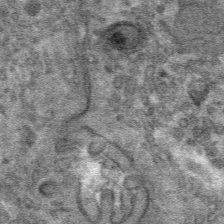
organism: Mouse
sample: Mouse hepatocytes